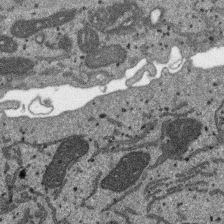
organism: Human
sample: Lung epithelial cells infected with SARS-CoV-2